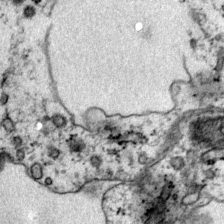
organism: Mouse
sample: Primary visual cortex